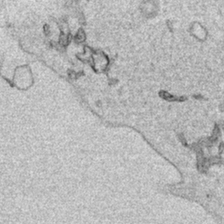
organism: Human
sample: Mitochondria in HCT116 cells